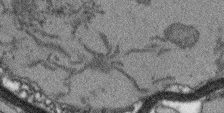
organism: Arabidopsis thaliana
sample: Root tip